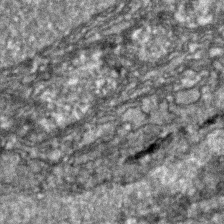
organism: Zebrafish